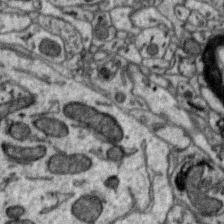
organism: Zebra finch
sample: Brain